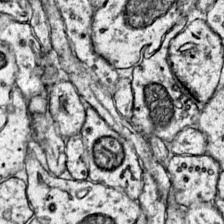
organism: Mouse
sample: Primary visual cortex